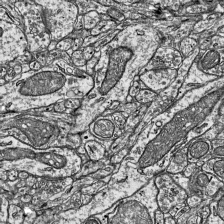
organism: Mouse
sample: Visual Cortex